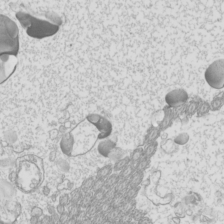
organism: Mouse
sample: Cilia; mouse epididymis